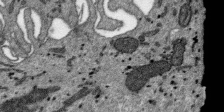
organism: Human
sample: Lung epithelial cells, uninfected (mock) control